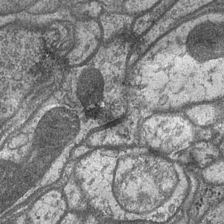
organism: Drosophila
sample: Optic medulla